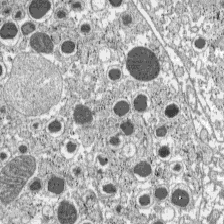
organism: C57BL Mouse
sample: Pancreatic islet